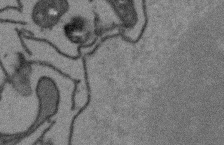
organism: Arabidopsis thaliana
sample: Root tip